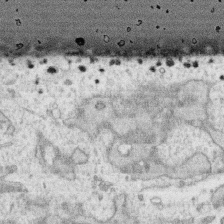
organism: Human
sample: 1205lu cells